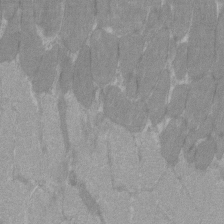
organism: C57BL Mouse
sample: Tibialis anterior muscle cell